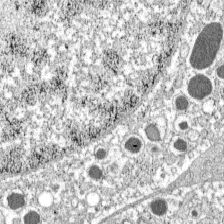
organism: C57BL Mouse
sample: Pancreatic islet